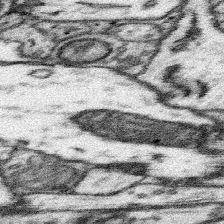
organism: Mouse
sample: Somatosensory cortex neuropil